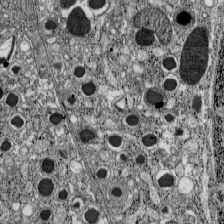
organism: C57BL Mouse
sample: Pancreatic islet